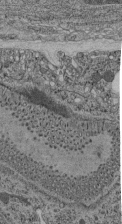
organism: C. elegans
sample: C. elegans pharynx